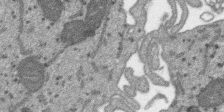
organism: Human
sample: Lung epithelial cells infected with SARS-CoV-2